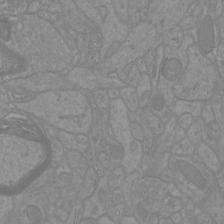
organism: Mouse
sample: Cortical neurons